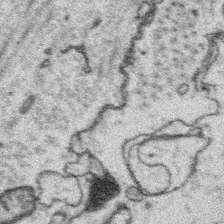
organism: Platynereis dumerilii